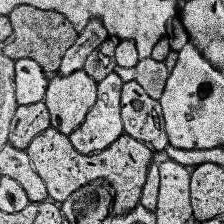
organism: Human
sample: Temporal Lobe